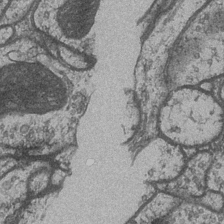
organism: Drosophila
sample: Optic medulla